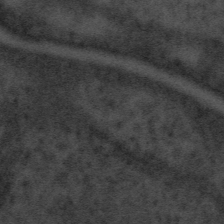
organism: Tuwongella immobilis